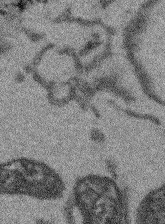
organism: Arabidopsis thaliana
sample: Root tip